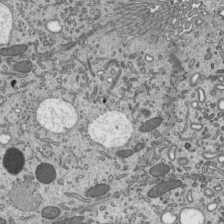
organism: Mouse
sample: Mouse epididymis efferent ductule cilia